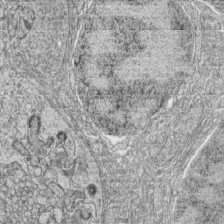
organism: Zebrafish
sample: synaptic ribbons in rod cells and cone cells